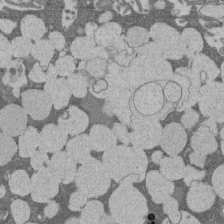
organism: Rat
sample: Salivary granule